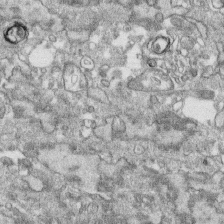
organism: Human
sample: CRL-1474